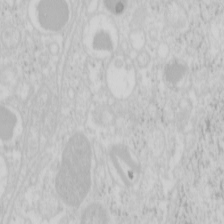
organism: Mouse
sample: Pancreas